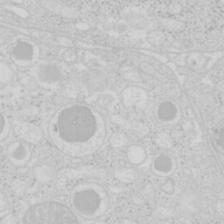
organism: Mouse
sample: Pancreas